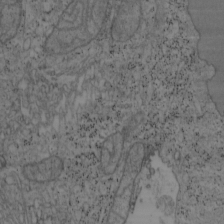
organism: Mouse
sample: OT-I killer T cells with ID8 ovarian cancer cells